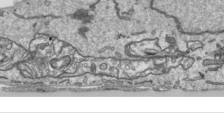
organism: Human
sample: Mitochondria in HCT116 cells